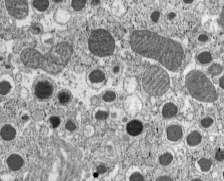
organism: C57BL Mouse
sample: Pancreatic islet